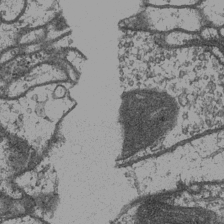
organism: Drosophila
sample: Optic medulla